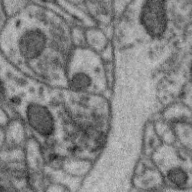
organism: Zebra finch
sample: Brain